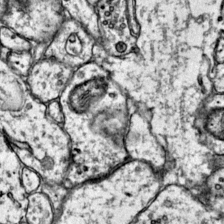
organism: Mouse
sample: Primary visual cortex